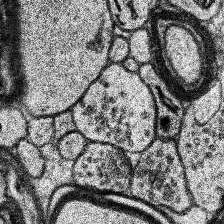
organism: Human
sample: Temporal Lobe